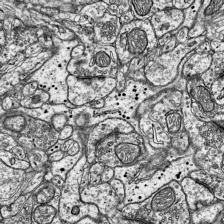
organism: Mouse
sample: Visual Cortex